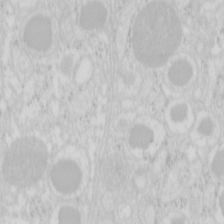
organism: Mouse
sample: Pancreas